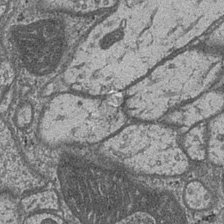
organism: Drosophila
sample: Optic medulla